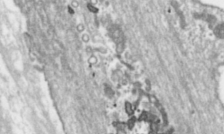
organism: Toxoplasma gondii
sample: Parasites in a vacuole inside a host cell